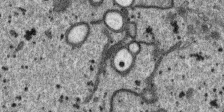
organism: Human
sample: Lung epithelial cells infected with SARS-CoV-2